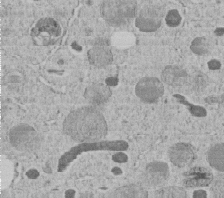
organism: C. elegans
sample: C. elegans embryo early stage